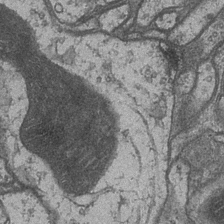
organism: Drosophila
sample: Optic medulla